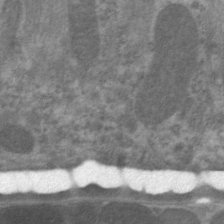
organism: C. elegans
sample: Pharynx